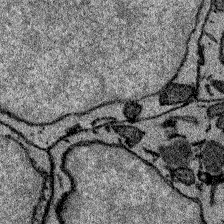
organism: Zebrafish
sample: Larval olfactory bulb